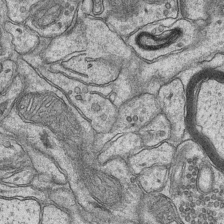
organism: Mouse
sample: CA1 Hippocampus